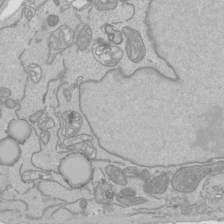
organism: Human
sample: Mitochondria in HCT116 cells